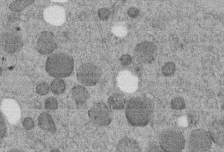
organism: C. elegans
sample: C. elegans embryo early stage